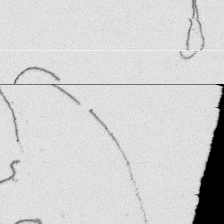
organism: Platynereis dumerilii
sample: Parapodia